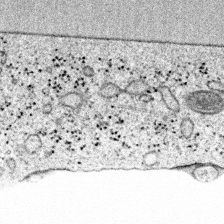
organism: Human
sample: HeLa cells